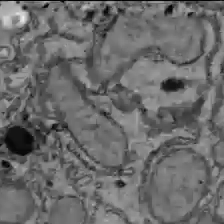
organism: C57BL Mouse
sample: Liver